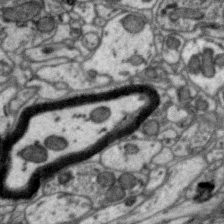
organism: Zebra finch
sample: Brain